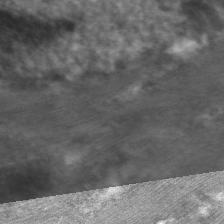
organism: C. elegans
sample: Pharynx